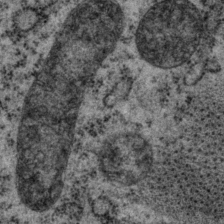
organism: P. pacificus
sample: Pharynx